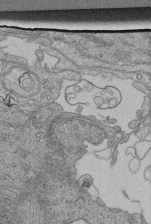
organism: Human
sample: Retinal organoid Rod and Cone cells